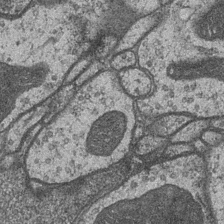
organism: Drosophila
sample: Optic medulla